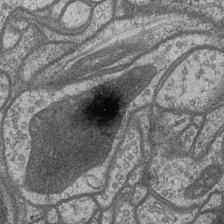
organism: Drosophila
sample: Optic medulla